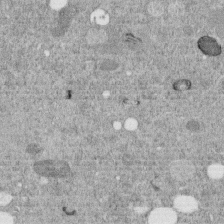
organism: C. elegans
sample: C. elegans embryo early stage